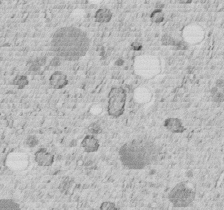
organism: C. elegans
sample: C. elegans embryo early stage